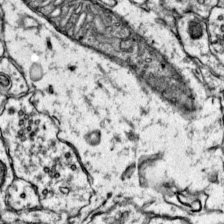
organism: Mouse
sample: Primary visual cortex